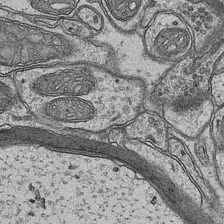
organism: Mouse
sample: CA1 Hippocampus